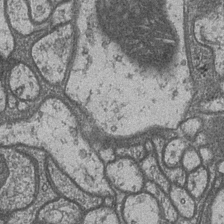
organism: Drosophila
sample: Optic medulla